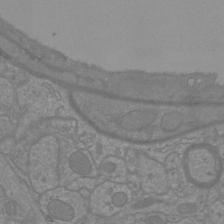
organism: Mouse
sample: Cortical neurons